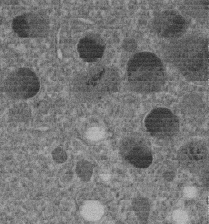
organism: C. elegans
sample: C. elegans embryo early stage